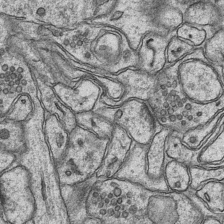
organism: Mouse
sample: CA1 Hippocampus